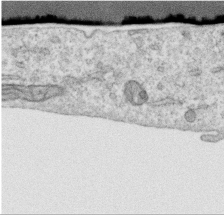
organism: Human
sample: Centriole in RPE cells